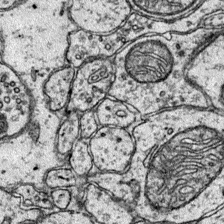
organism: Mouse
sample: Primary visual cortex